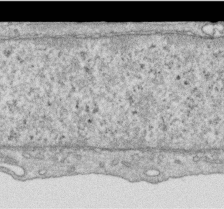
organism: Human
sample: Centriole in RPE cells